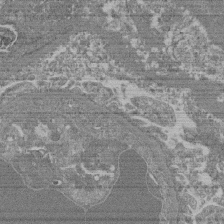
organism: Mouse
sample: Glomerulus